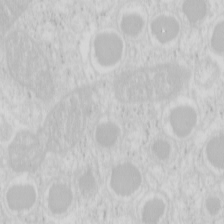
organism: Mouse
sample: Pancreas